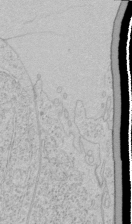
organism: Human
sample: Mitochondria in HCT116 cells